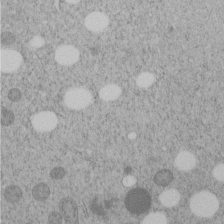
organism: C. elegans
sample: C. elegans embryo early stage